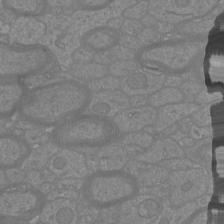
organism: Mouse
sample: Cortical neurons